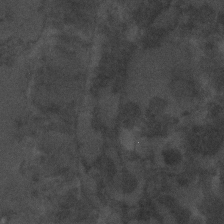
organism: C. elegans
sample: C. elegans embryo